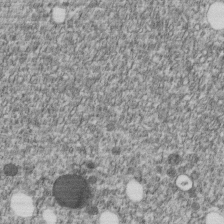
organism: C. elegans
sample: C. elegans embryo early stage